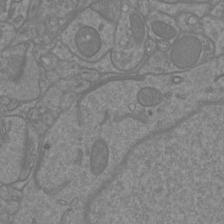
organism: Mouse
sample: Cortical neurons